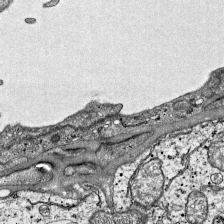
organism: Mouse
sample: Visual Cortex